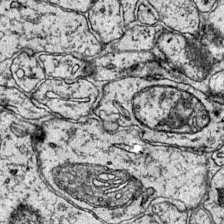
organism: Mouse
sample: Primary visual cortex